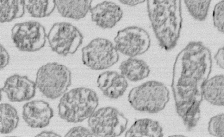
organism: E. coli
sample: Bacterial nucleoid